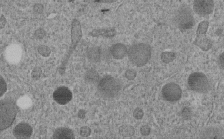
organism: C. elegans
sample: C. elegans embryo early stage